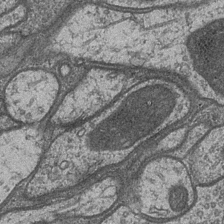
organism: Drosophila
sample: Optic medulla